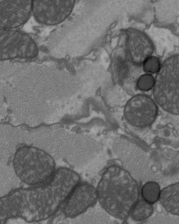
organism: C57BL Mouse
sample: Heart